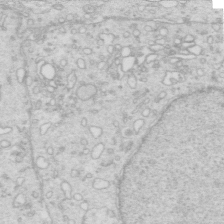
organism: Mouse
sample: Multiciliated cells